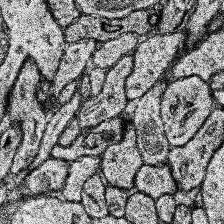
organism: Human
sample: Temporal Lobe